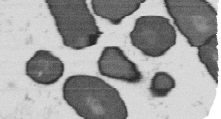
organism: B. subtilis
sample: Bacterial spore